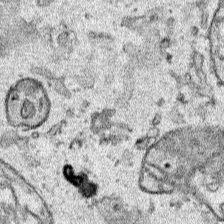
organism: Human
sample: Mitochondria in HCT116 cells